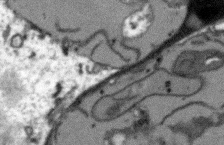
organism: Arabidopsis thaliana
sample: Root tip